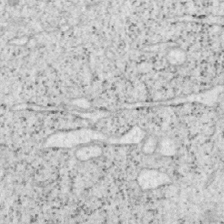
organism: Mouse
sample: OT-I killer T cells with ID8 ovarian cancer cells